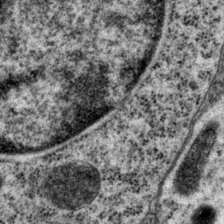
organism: P. pacificus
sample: Pharynx